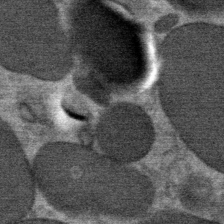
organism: Mouse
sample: Mouse Salivary gland